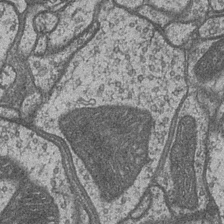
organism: Drosophila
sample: Optic medulla